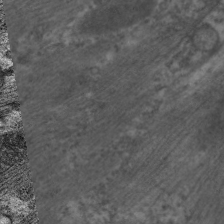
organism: C. elegans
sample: Pharynx